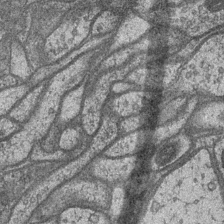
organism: Drosophila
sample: Optic medulla